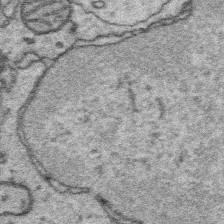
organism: Platynereis dumerilii